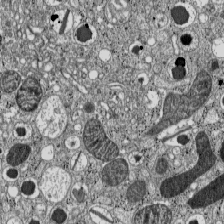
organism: C57BL Mouse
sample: Pancreatic islet